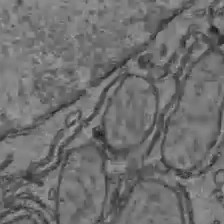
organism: C57BL Mouse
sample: Liver